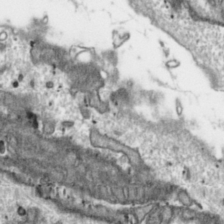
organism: Toxoplasma gondii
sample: Parasites in a vacuole inside a host cell